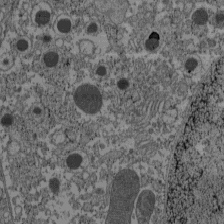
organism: C57BL Mouse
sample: Pancreatic islet